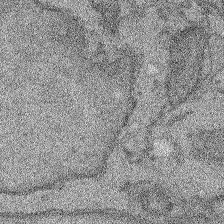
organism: Human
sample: HeLa cells